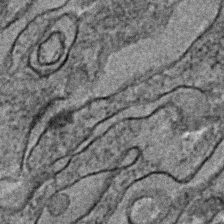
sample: Trachea